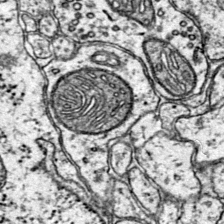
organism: Mouse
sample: Primary visual cortex